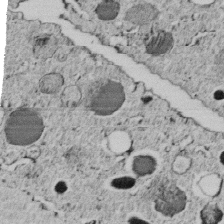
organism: C. elegans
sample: C. elegans embryo early stage